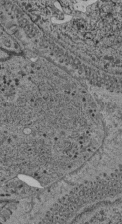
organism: C. elegans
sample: C. elegans pharynx